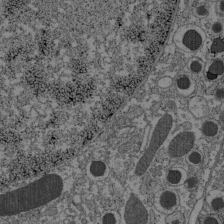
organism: C57BL Mouse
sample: Pancreatic islet